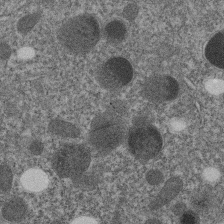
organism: C. elegans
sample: C. elegans embryo early stage